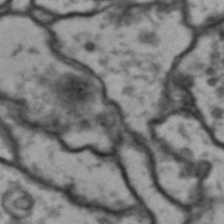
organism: Drosophila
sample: Brain